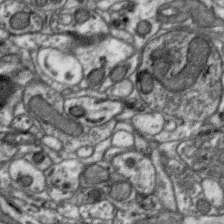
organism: Zebra finch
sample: Brain